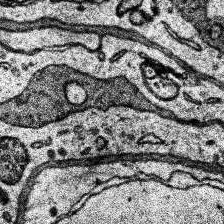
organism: Human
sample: Temporal Lobe